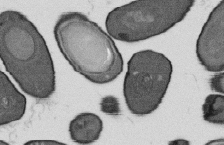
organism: B. subtilis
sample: Bacterial spore